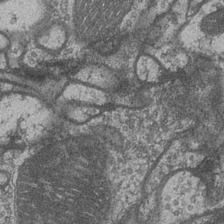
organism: Drosophila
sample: Optic medulla